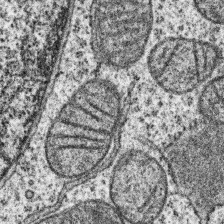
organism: Human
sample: HeLa cells